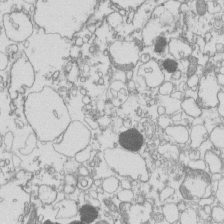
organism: Mouse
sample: Macrophages